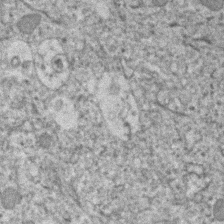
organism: Human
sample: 1205lu cells